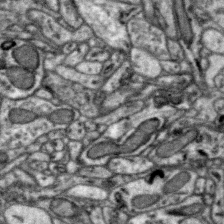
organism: Zebra finch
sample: Brain